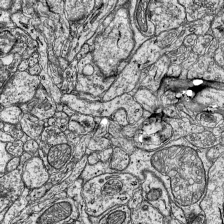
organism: Mouse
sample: Visual Cortex